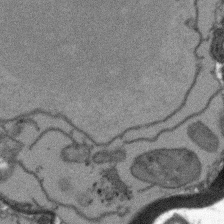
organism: Arabidopsis thaliana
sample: Root tip